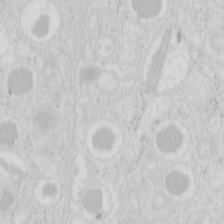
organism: Mouse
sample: Pancreas